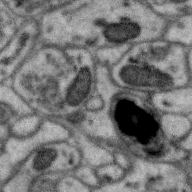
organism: Zebra finch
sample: Brain